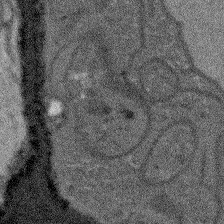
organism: Arabidopsis thaliana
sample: Root tip